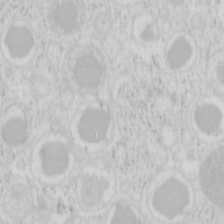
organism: Mouse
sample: Pancreas